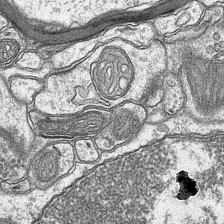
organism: Mouse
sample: CA1 Hippocampus